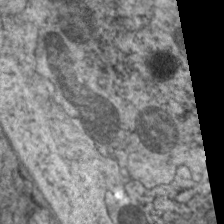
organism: C. elegans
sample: Pharynx